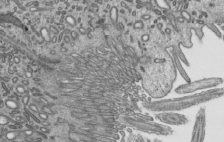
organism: Mouse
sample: Mouse epididymis efferent ductule cilia